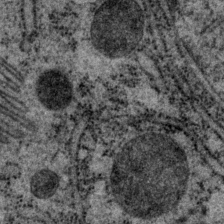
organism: P. pacificus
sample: Pharynx